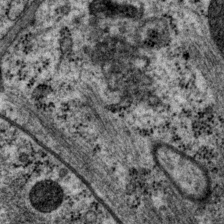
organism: P. pacificus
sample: Pharynx